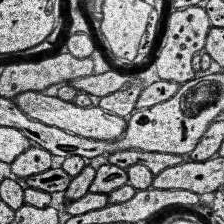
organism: Human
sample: Temporal Lobe